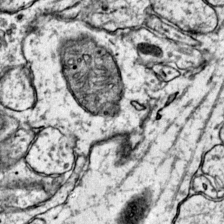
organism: Mouse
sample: Primary visual cortex